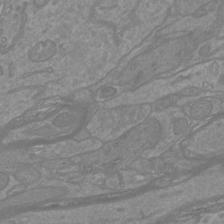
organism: Mouse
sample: Cortical neurons